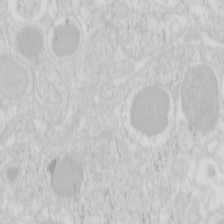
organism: Mouse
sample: Pancreas